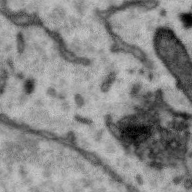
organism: Zebra finch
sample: Brain